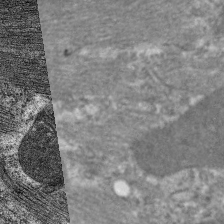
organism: C. elegans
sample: Pharynx